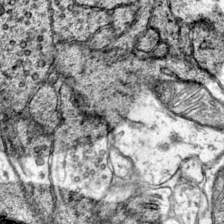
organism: Mouse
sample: Primary visual cortex